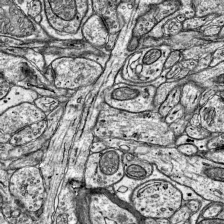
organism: Mouse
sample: Visual Cortex